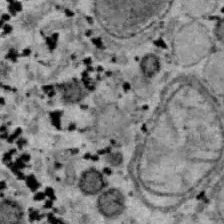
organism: Mouse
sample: Liver from an obese (ob/ob) mouse